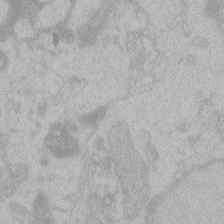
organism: Zebrafish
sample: Macrophage infected with Toxoplasma gondii